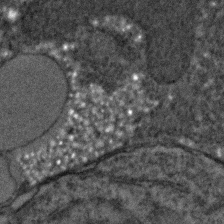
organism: C. elegans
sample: C. elegans embryo